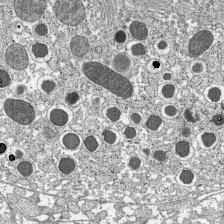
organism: C57BL Mouse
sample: Pancreatic islet